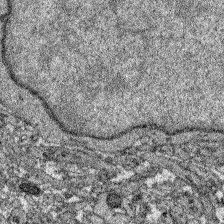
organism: Zebrafish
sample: Larval olfactory bulb